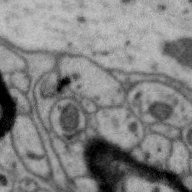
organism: Zebra finch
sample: Brain